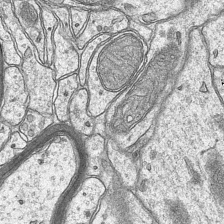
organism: Mouse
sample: CA1 Hippocampus